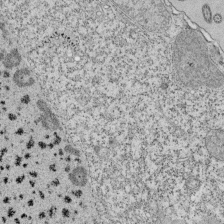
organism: Tetrahymena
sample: Cilia in tetrahymena